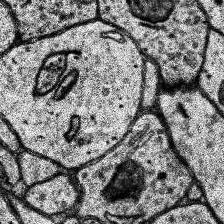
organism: Human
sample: Temporal Lobe